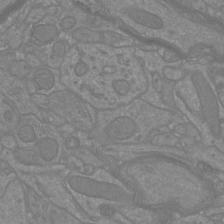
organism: Mouse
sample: Cortical neurons